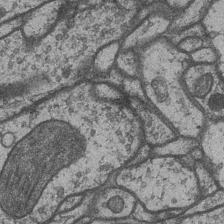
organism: Drosophila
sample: Optic medulla